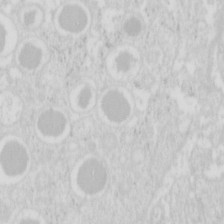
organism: Mouse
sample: Pancreas